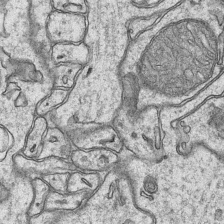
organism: Mouse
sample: CA1 Hippocampus